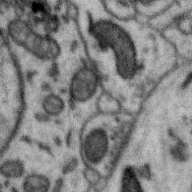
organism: Zebra finch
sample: Brain